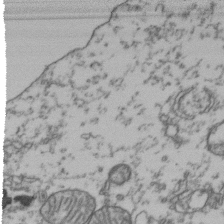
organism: Human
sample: Activated Jurkat CD4+ T cells